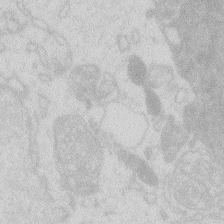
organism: Zebrafish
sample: Macrophage